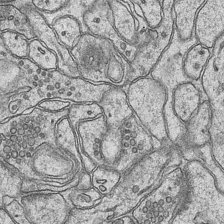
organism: Mouse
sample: CA1 Hippocampus